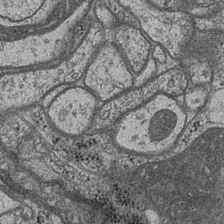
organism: Drosophila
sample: Optic medulla